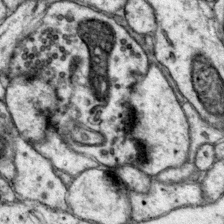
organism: Mouse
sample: Primary visual cortex